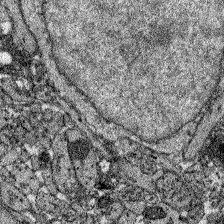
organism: Zebrafish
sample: Larval olfactory bulb